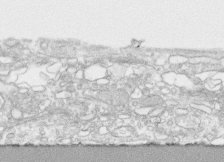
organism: Human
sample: CRL-1474